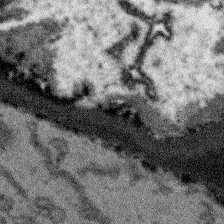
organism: Arabidopsis thaliana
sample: Root tip